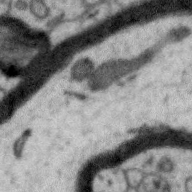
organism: Zebra finch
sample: Brain